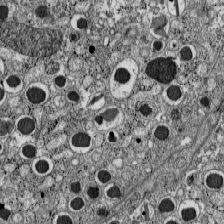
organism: C57BL Mouse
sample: Pancreatic islet